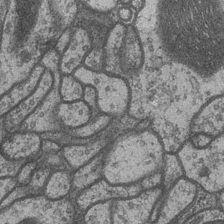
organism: Drosophila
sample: Optic medulla